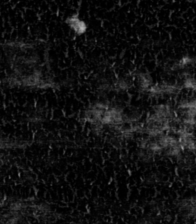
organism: Toxoplasma gondii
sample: Parasites in a vacuole inside a host cell